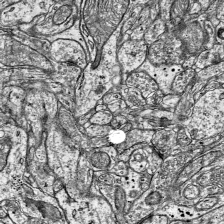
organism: Mouse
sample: Visual Cortex